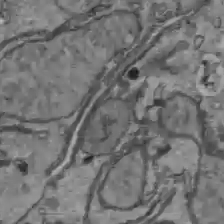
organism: C57BL Mouse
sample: Liver